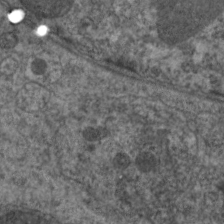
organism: C. elegans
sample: Pharynx